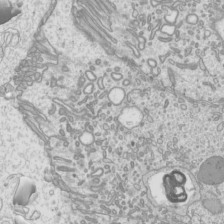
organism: Mouse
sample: Cilia; mouse epididymis